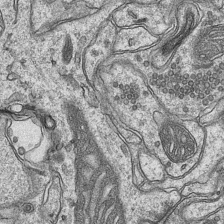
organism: Mouse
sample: CA1 Hippocampus